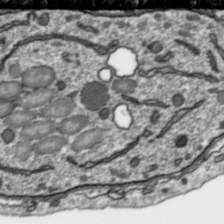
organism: Toxoplasma gondii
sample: Parasites in a vacuole inside a host cell